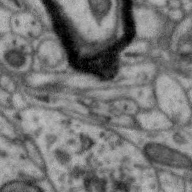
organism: Zebra finch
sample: Brain